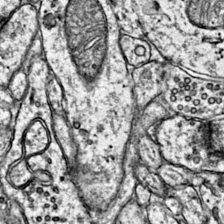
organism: Mouse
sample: Primary visual cortex